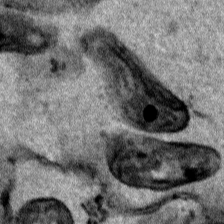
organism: Human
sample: Mitochondria in HCT116 cells